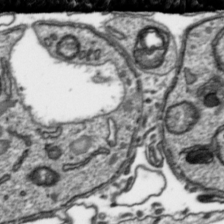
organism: Toxoplasma gondii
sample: Parasites in a vacuole inside a host cell